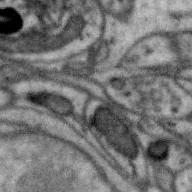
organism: Zebra finch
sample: Brain